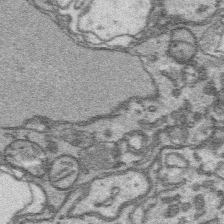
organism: Platynereis dumerilii